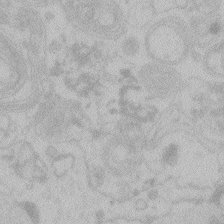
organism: Zebrafish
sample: Macrophage infected with Toxoplasma gondii